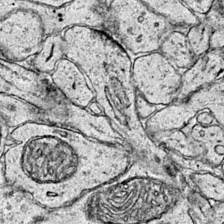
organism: Mouse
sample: Primary visual cortex